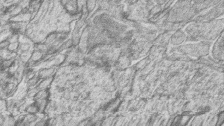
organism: Zebrafish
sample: synaptic ribbons in rod cells and cone cells